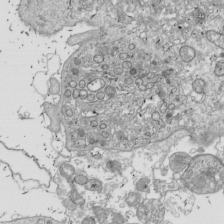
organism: Drosophila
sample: Cell division; meiosis; drosophila spermatocytes